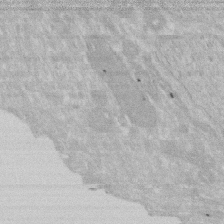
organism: Human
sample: HIV infected U937 cells